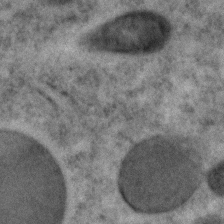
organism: C. elegans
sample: C. elegans embryo